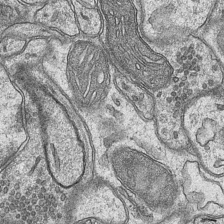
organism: Mouse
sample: CA1 Hippocampus